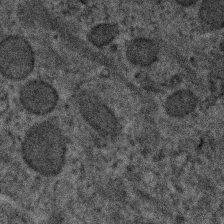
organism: Human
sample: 1205lu cells